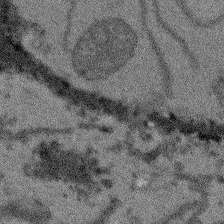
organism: Arabidopsis thaliana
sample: Root tip